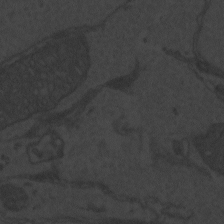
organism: Zebrafish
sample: Macrophage infected with Toxoplasma gondii